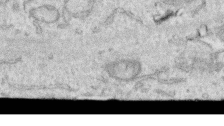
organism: Human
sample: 1205lu cells